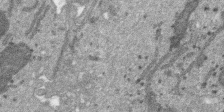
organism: Human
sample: Lung epithelial cells infected with SARS-CoV-2